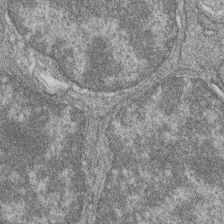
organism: Zebrafish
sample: Cilia; retinal pigment epithelium